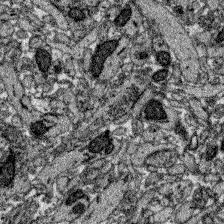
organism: Zebrafish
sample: Larval olfactory bulb